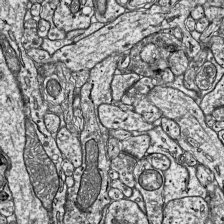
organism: Mouse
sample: Visual Cortex